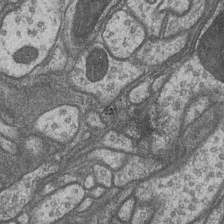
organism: Drosophila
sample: Optic medulla